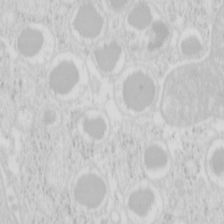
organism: Mouse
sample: Pancreas